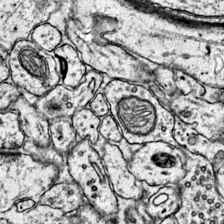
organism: Mouse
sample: Primary visual cortex